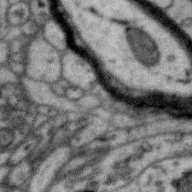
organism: Zebra finch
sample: Brain